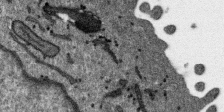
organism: Human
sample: Lung epithelial cells, uninfected (mock) control